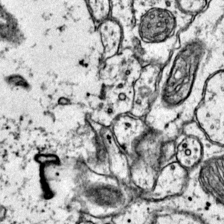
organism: Mouse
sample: Primary visual cortex